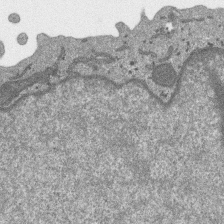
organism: Human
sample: Lung epithelial cells infected with SARS-CoV-2